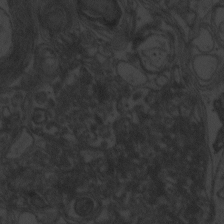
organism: Zebrafish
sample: Macrophage infected with Toxoplasma gondii